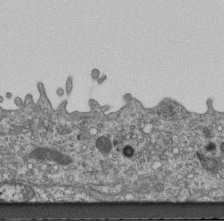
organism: Mouse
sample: Centriole in ependymal cells